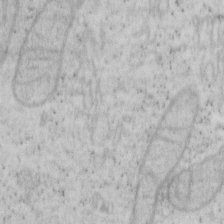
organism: Human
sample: HeLa cells